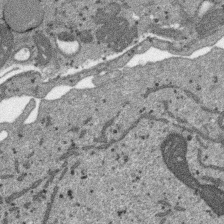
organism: Human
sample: Lung epithelial cells infected with SARS-CoV-2